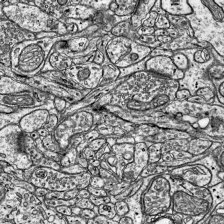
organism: Mouse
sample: Visual Cortex